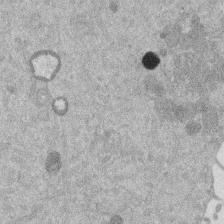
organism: Mouse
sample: Dividing mouse embryo 1 cell stage